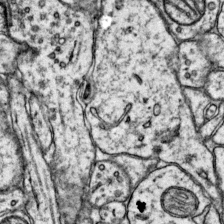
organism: Mouse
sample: Primary visual cortex